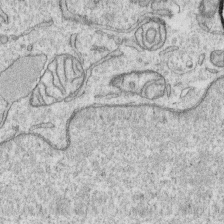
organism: Human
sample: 1205lu cells